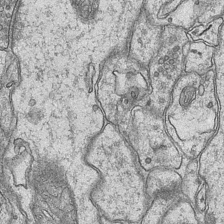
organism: Mouse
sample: CA1 Hippocampus